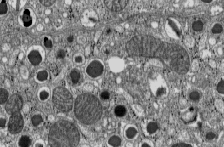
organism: C57BL Mouse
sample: Pancreatic islet